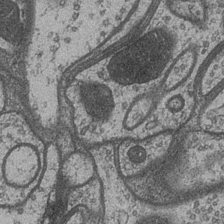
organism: Drosophila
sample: Optic medulla